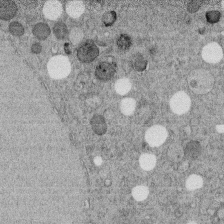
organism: C. elegans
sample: C. elegans embryo early stage